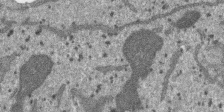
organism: Human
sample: Lung epithelial cells infected with SARS-CoV-2